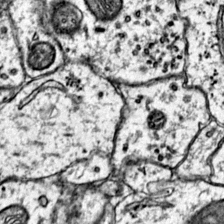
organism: Mouse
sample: Primary visual cortex